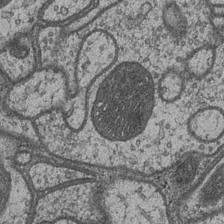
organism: Drosophila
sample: Optic medulla